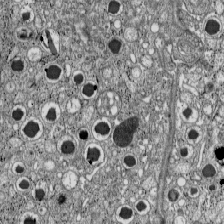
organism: C57BL Mouse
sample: Pancreatic islet